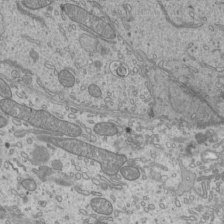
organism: Mouse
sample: Cilia; mouse epididymis